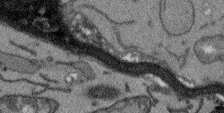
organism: Arabidopsis thaliana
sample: Root tip